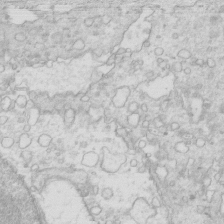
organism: Mouse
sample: Multiciliated cells